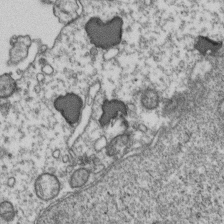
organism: Human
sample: Activated Jurkat CD4+ T cells